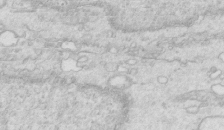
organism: Mouse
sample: Multiciliated cells